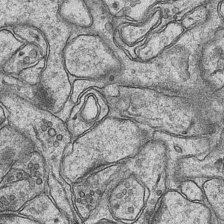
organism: Mouse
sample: CA1 Hippocampus